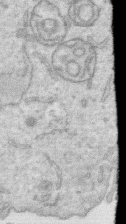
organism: Human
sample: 1205lu cells